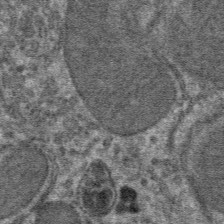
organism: Mouse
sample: Mouse hepatocytes